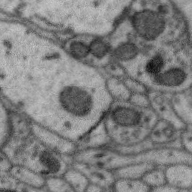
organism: Zebra finch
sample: Brain